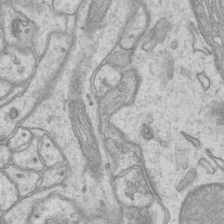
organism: Mouse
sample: CA1 Hippocampus